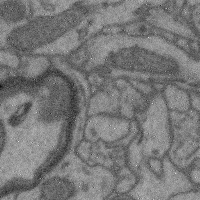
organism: Mouse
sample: Cerebral cortex